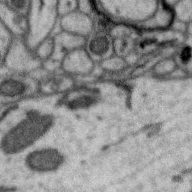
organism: Zebra finch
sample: Brain